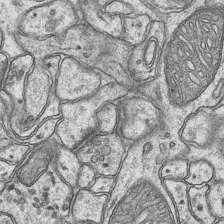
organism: Mouse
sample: CA1 Hippocampus